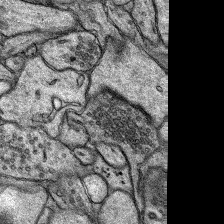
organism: Rat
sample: Hippocampus